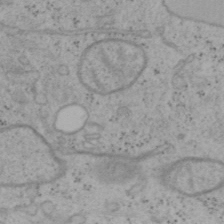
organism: Human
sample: HeLa cells